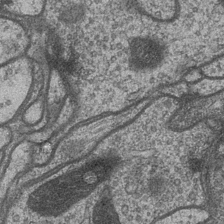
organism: Drosophila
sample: Optic medulla